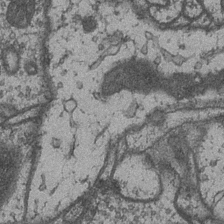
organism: Drosophila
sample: Optic medulla